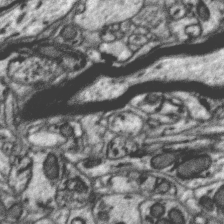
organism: Zebra finch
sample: Brain